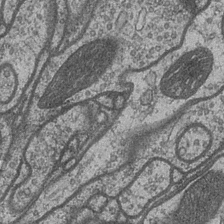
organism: Drosophila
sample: Optic medulla